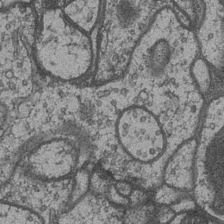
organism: Drosophila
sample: Optic medulla